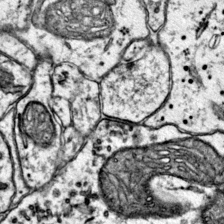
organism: Mouse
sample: Primary visual cortex